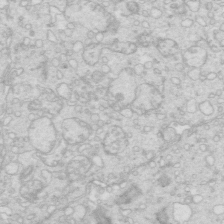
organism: Mouse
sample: Multiciliated cells